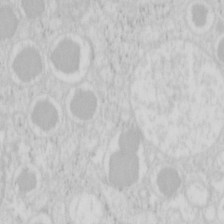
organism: Mouse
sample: Pancreas